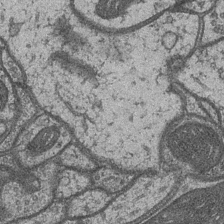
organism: Drosophila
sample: Optic medulla